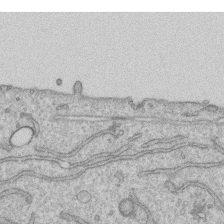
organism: Human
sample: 1205lu cells